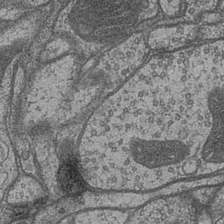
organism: Drosophila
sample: Optic medulla